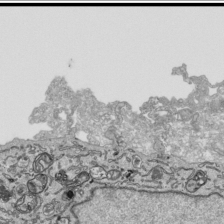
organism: Human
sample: Mitochondria in HCT116 cells